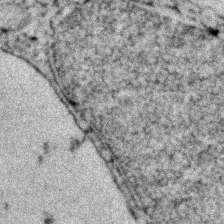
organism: Zebrafish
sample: Zebrafish embryo